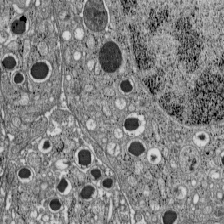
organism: C57BL Mouse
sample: Pancreatic islet